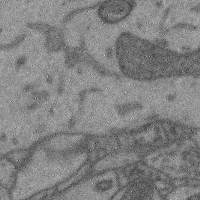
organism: Mouse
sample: Cerebral cortex